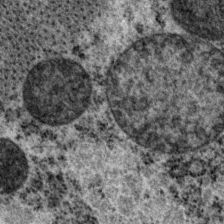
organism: P. pacificus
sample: Pharynx